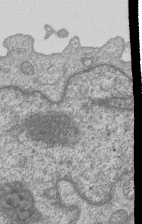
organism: Human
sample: MDA-MB-231 cells